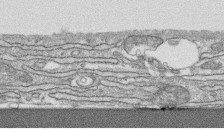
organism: Human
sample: CRL-1474